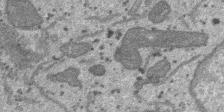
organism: Human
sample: Lung epithelial cells infected with SARS-CoV-2